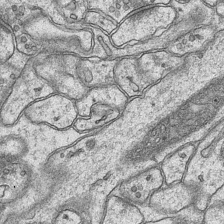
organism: Mouse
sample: CA1 Hippocampus